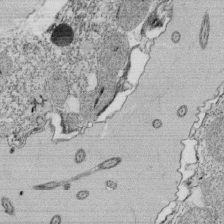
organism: Tetrahymena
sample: Cilia in tetrahymena